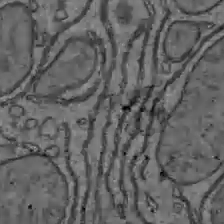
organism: C57BL Mouse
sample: Liver